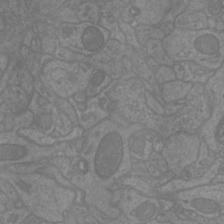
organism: Mouse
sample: Cortical neurons